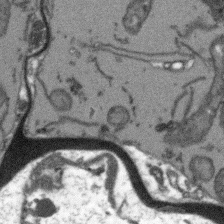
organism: Arabidopsis thaliana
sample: Root tip